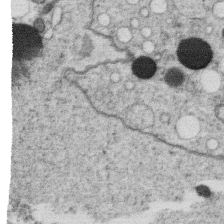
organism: C. elegans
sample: C. elegans oocyte; sperm cells